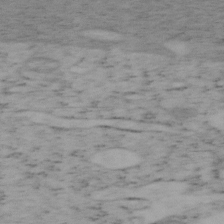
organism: Mouse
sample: OT-I killer T cells with ID8 ovarian cancer cells